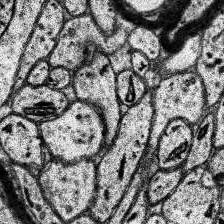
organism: Human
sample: Temporal Lobe